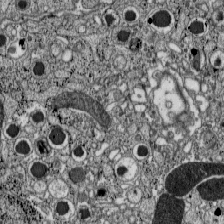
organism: C57BL Mouse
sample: Pancreatic islet